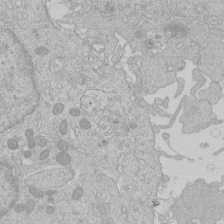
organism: Human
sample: Macrophage cells